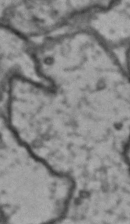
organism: Drosophila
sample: Brain